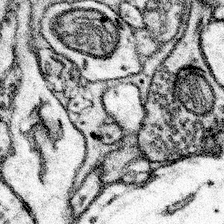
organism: Mouse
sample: Somatosensory cortex neuropil